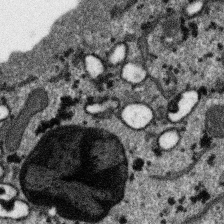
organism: Human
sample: Lung epithelial cells infected with SARS-CoV-2